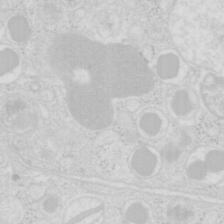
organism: Mouse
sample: Pancreas